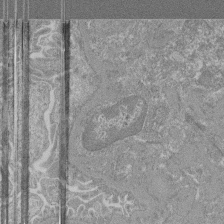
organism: Mouse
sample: Glomerulus